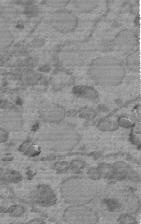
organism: C. elegans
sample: C. elegans embryo early stage